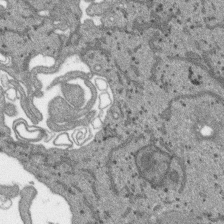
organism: Human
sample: Lung epithelial cells infected with SARS-CoV-2